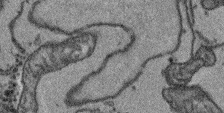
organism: Arabidopsis thaliana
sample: Root tip